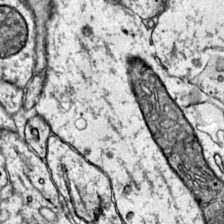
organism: Mouse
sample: Primary visual cortex